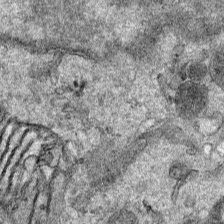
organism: Human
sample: Mitochondria in HCT116 cells